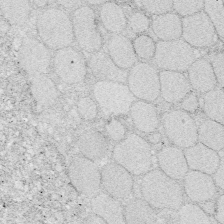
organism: Zebrafish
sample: Whole-Brain